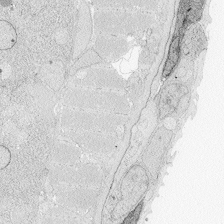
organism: Zebrafish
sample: Whole-Brain